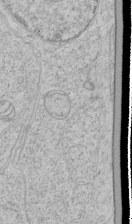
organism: Human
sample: Mitochondria in HCT116 cells